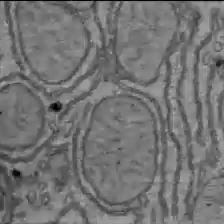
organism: C57BL Mouse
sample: Liver